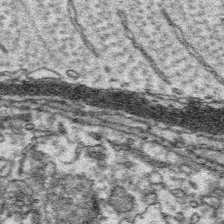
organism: Platynereis dumerilii